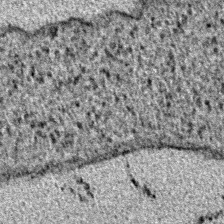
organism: E. coli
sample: E. Coli Bacteria